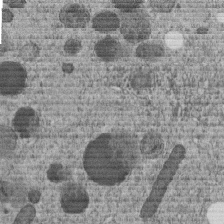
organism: C. elegans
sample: C. elegans embryo early stage